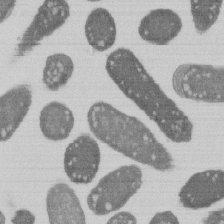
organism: E. coli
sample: Bacterial nucleoid